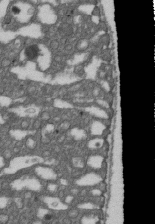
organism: Drosophila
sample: Nephrocyte